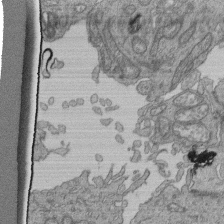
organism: Human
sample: Retinal organoid Rod and Cone cells